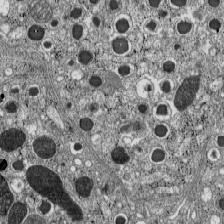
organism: C57BL Mouse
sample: Pancreatic islet